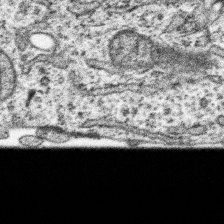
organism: Human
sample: HeLa cells